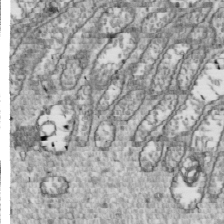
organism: Drosophila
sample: Cell division; meiosis; drosophila spermatocytes